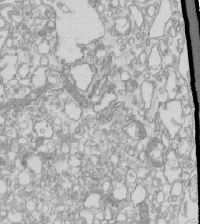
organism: Mouse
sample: Macrophages